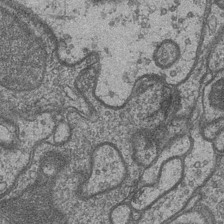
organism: Drosophila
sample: Optic medulla